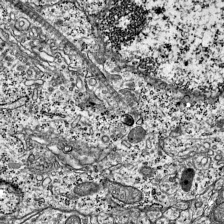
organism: Mouse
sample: Visual Cortex